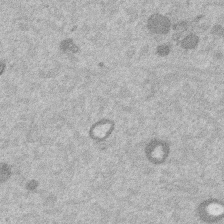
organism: Mouse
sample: Dividing mouse embryo 1 cell stage